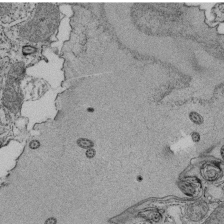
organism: Tetrahymena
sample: Cilia in tetrahymena